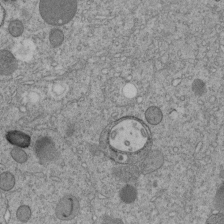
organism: C. elegans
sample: C. elegans embryo early stage